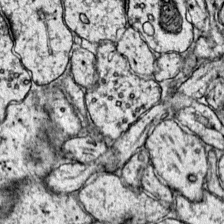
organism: Mouse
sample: Primary visual cortex